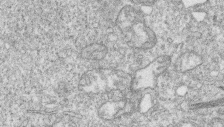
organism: Human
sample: HeLa cell HIV synapse